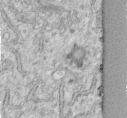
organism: Human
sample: Centriole in fibroblast cells